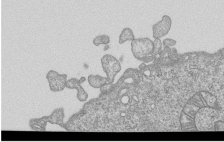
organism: Human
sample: MDA-MB-231 cells